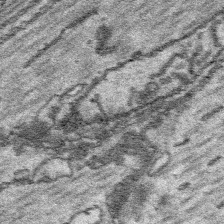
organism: Platynereis dumerilii